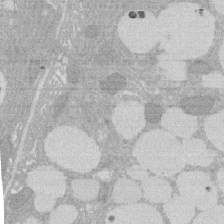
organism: Rat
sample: Salivary granule